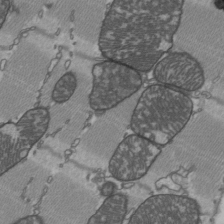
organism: C57BL Mouse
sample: Heart